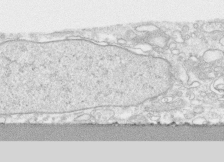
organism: Human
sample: CRL-1474